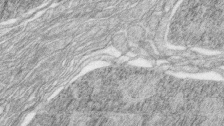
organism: Zebrafish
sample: synaptic ribbons in rod cells and cone cells